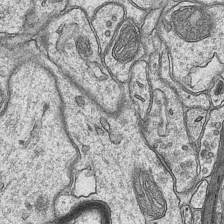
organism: Mouse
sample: CA1 Hippocampus